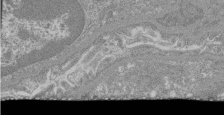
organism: Mouse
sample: Glomerulus